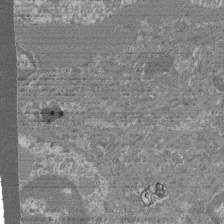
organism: Mouse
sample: Glomerulus